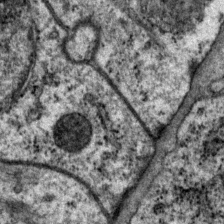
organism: P. pacificus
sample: Pharynx